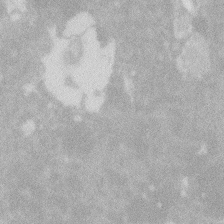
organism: Zebrafish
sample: Macrophage